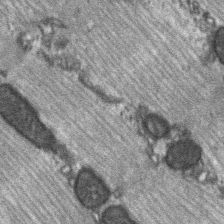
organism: C57BL Mouse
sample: Soleus